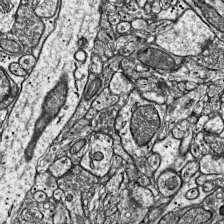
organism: Mouse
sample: Visual Cortex